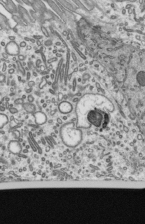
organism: Mouse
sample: Mouse epididymis efferent ductule cilia